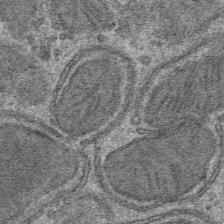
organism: Mouse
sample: Mouse hepatocytes